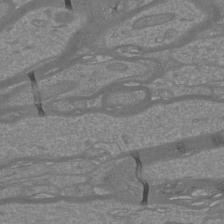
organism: Mouse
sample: Cortical neurons